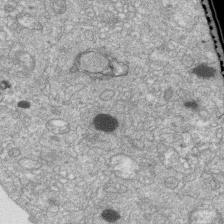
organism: Human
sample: HeLa cell HIV synapse